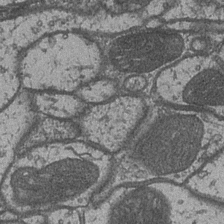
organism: Drosophila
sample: Optic medulla